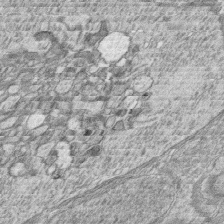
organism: Zebrafish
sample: synaptic ribbons in rod cells and cone cells